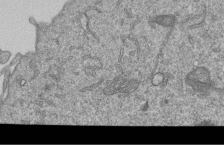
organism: Human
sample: MDA-MB-231 cells